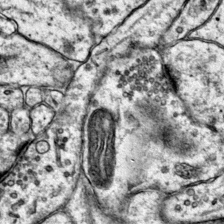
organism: Mouse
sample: Primary visual cortex